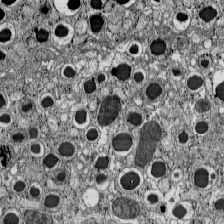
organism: C57BL Mouse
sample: Pancreatic islet